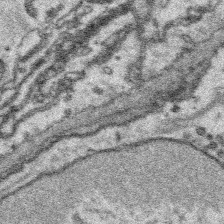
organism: Platynereis dumerilii